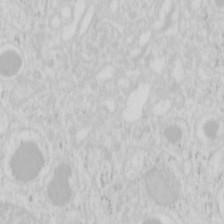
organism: Mouse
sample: Pancreas